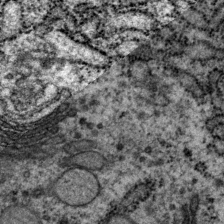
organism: P. pacificus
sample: Pharynx